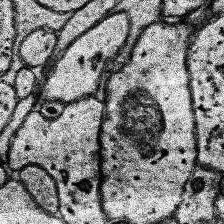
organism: Human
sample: Temporal Lobe